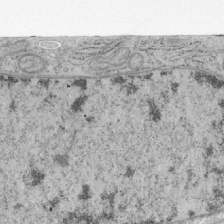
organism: Human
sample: HeLa cells